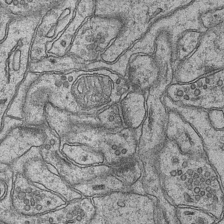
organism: Mouse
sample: CA1 Hippocampus